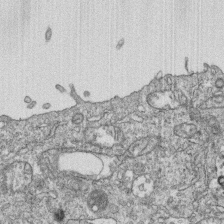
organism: Human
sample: HeLa cell HIV synapse